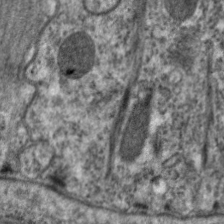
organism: C. elegans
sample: Pharynx